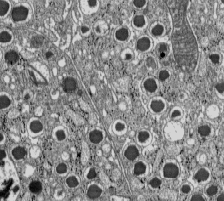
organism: C57BL Mouse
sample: Pancreatic islet